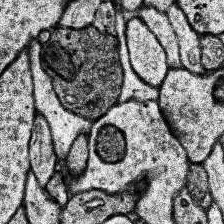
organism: Human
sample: Temporal Lobe